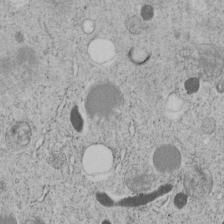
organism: C. elegans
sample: C. elegans embryo early stage